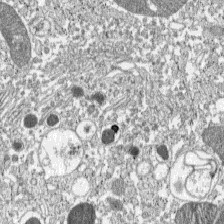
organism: C57BL Mouse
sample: Pancreatic islet